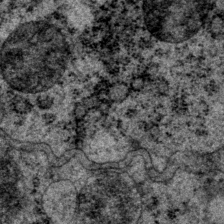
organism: P. pacificus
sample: Pharynx